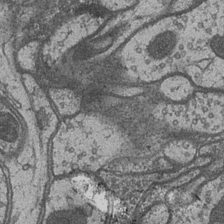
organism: Drosophila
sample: Optic medulla